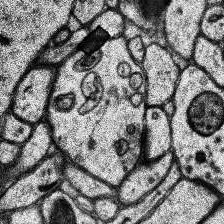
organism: Human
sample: Temporal Lobe